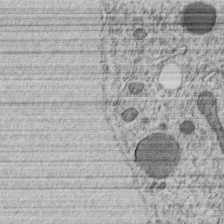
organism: C. elegans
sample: C. elegans embryo early stage